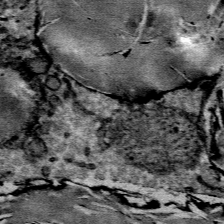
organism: Mouse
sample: Mouse Salivary gland